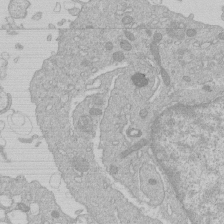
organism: Human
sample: Macrophage cells